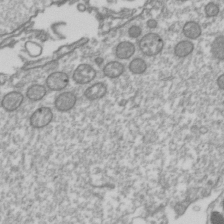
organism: Drosophila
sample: Cell division; meiosis; drosophila spermatocytes